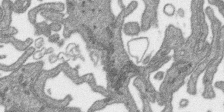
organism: Human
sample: Lung epithelial cells infected with SARS-CoV-2